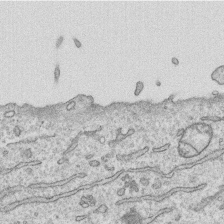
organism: Human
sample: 1205lu cells